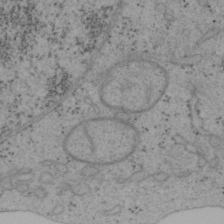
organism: Human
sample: HeLa cells